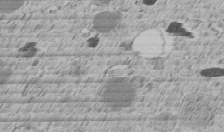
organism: C. elegans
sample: C. elegans embryo early stage